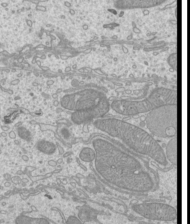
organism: Mouse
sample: Cilia; mouse epididymis